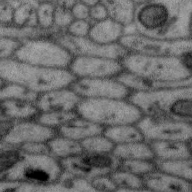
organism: Zebra finch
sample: Brain